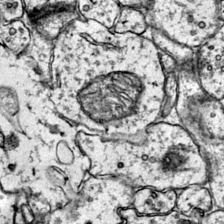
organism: Mouse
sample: Primary visual cortex